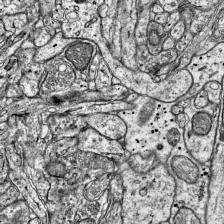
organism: Mouse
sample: Visual Cortex